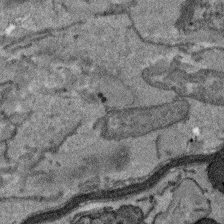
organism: Arabidopsis thaliana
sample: Root tip